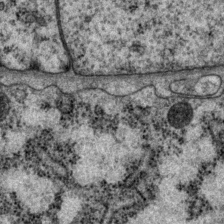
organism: P. pacificus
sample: Pharynx